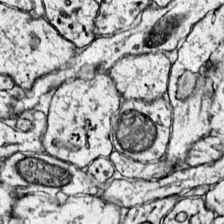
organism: Mouse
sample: Primary visual cortex